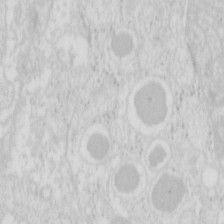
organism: Mouse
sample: Pancreas